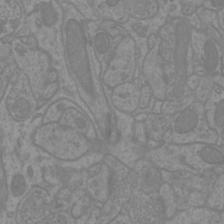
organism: Mouse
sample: Cortical neurons